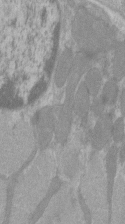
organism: C57BL Mouse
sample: Tibialis anterior muscle cell